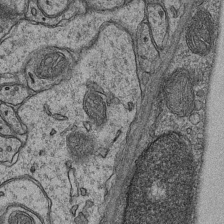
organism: Mouse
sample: CA1 Hippocampus